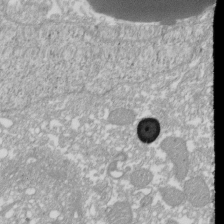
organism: Xenopus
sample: Cilia; centrioles in frog embryo cells